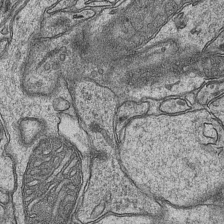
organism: Mouse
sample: CA1 Hippocampus